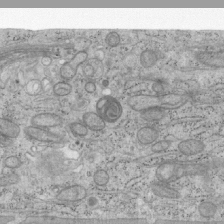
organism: Human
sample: HeLa cells